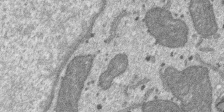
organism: Human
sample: Lung epithelial cells infected with SARS-CoV-2